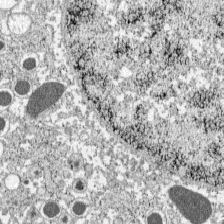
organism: C57BL Mouse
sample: Pancreatic islet